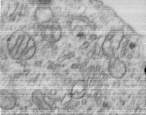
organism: Human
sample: Centriole in RPE cells